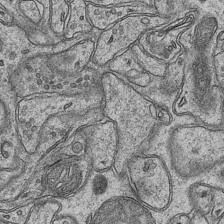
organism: Mouse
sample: CA1 Hippocampus